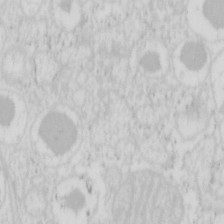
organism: Mouse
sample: Pancreas